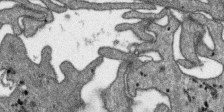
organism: Human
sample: Lung epithelial cells, uninfected (mock) control